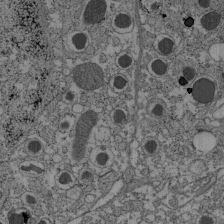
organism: C57BL Mouse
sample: Pancreatic islet